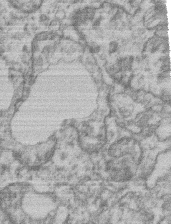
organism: Mouse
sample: T cell stromal cell synapse